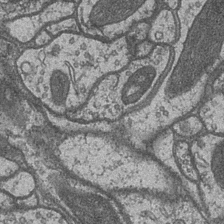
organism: Drosophila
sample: Optic medulla